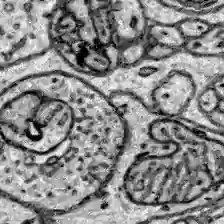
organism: Zebrafish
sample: Brain